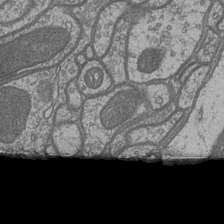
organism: Drosophila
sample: Optic medulla